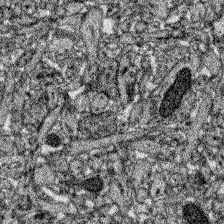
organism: Zebrafish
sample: Larval olfactory bulb